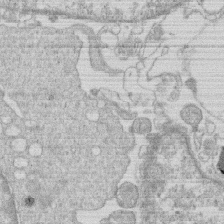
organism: Human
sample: Macrophage cells